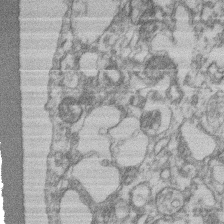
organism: Mouse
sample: T cell stromal cell synapse